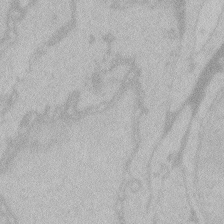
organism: Zebrafish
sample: Macrophage infected with Toxoplasma gondii